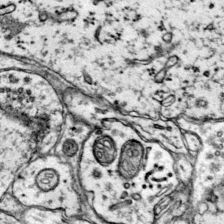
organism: Mouse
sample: Primary visual cortex